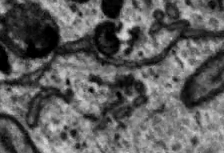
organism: Human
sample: HeLa cells